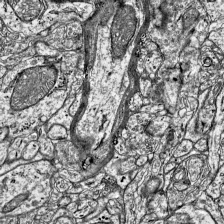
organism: Mouse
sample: Visual Cortex